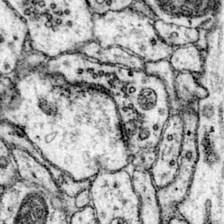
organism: Mouse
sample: Primary visual cortex